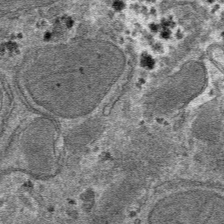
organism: Mouse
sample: Mouse hepatocytes